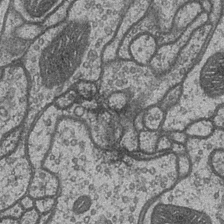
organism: Drosophila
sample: Optic medulla